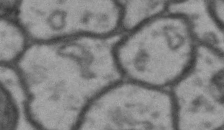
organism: Drosophila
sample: Brain